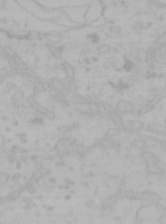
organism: Mouse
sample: Choroid plexus